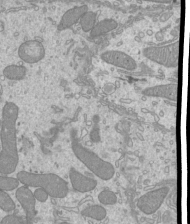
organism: Mouse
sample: Cilia; mouse epididymis